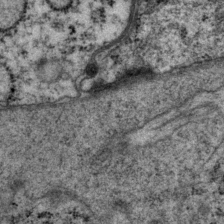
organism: P. pacificus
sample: Pharynx